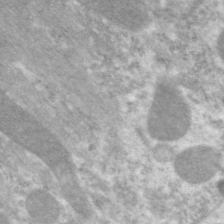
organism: C. elegans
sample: Pharynx